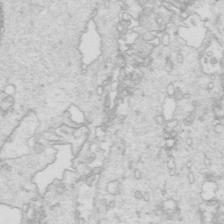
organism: Mouse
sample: Multiciliated cells